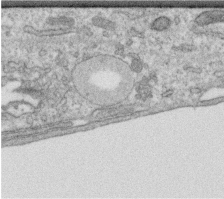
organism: Human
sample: Centriole in RPE cells